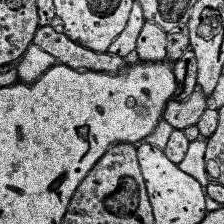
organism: Human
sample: Temporal Lobe